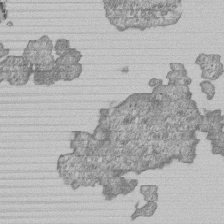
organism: Human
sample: MDA-MB-231 cells